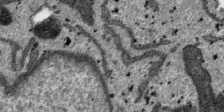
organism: Human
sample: Lung epithelial cells, uninfected (mock) control